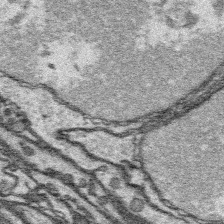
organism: Platynereis dumerilii